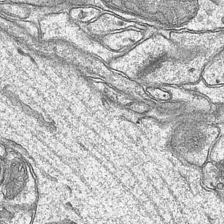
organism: Mouse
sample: CA1 Hippocampus